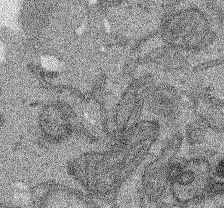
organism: Human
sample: HeLa cells